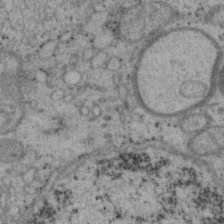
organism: Human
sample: HeLa cells